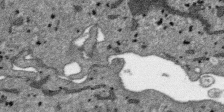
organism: Human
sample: Lung epithelial cells, uninfected (mock) control